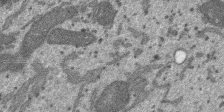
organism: Human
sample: Lung epithelial cells infected with SARS-CoV-2